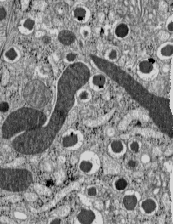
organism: C57BL Mouse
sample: Pancreatic islet